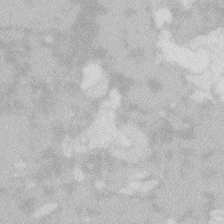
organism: Zebrafish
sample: Macrophage